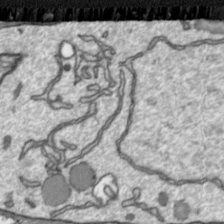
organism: Toxoplasma gondii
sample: Parasites in a vacuole inside a host cell